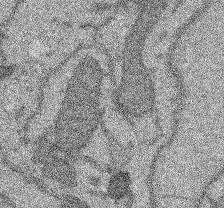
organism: Human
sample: HeLa cells